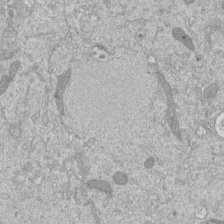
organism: Mouse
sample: ED-1 cell nuclei; centrioles